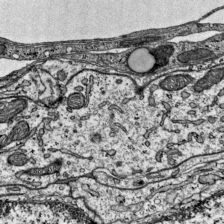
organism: Mouse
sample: Visual Cortex